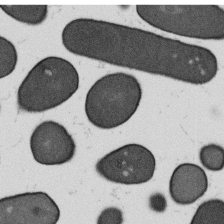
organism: B. subtilis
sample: Bacterial spore